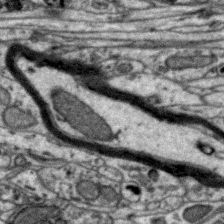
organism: Zebra finch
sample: Brain